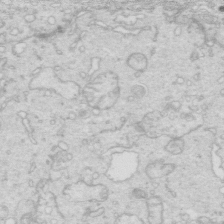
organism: Mouse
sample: Multiciliated cells